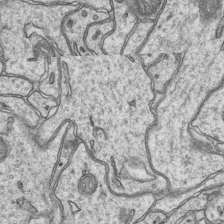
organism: Mouse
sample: CA1 Hippocampus